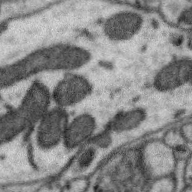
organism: Zebra finch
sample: Brain